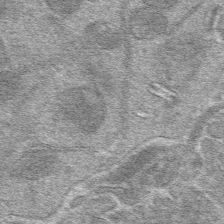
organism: Mouse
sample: Mouse hepatocytes